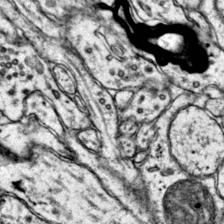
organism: Mouse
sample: Primary visual cortex